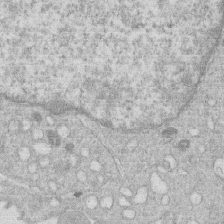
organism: Human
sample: Macrophage cells